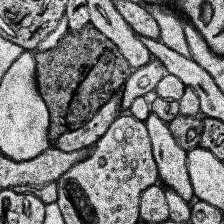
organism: Human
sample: Temporal Lobe